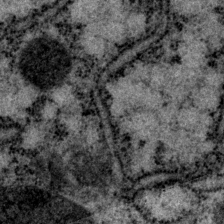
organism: P. pacificus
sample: Pharynx